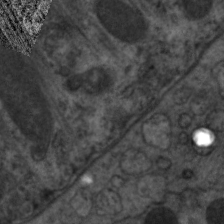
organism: C. elegans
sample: Pharynx